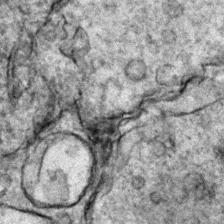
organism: Zebrafish